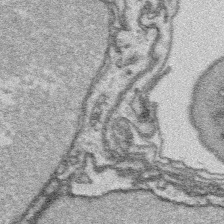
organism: Platynereis dumerilii